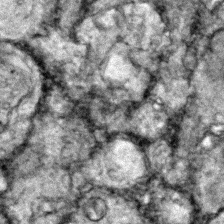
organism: Zebrafish